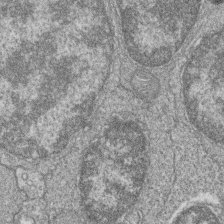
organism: Zebrafish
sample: Cilia; retinal pigment epithelium